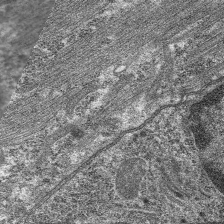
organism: C. elegans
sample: Pharynx